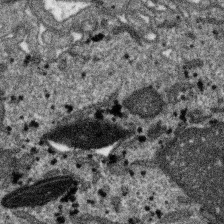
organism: Human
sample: Lung epithelial cells infected with SARS-CoV-2